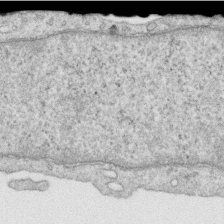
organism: Human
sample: Centriole in RPE cells